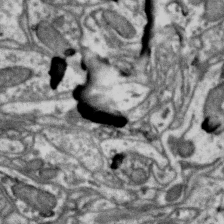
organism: Zebra finch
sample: Brain